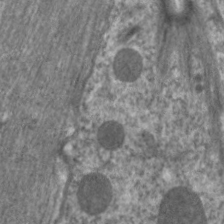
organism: C. elegans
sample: Pharynx